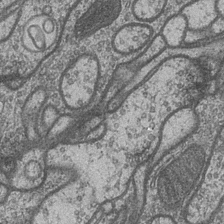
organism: Drosophila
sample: Optic medulla